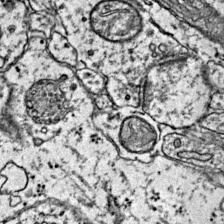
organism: Mouse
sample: Primary visual cortex